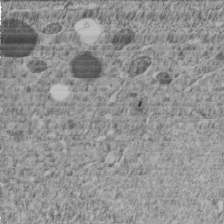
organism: C. elegans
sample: C. elegans embryo early stage